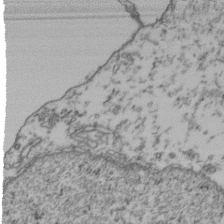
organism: Human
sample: Activated Jurkat CD4+ T cells